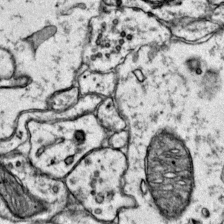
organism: Mouse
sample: Primary visual cortex